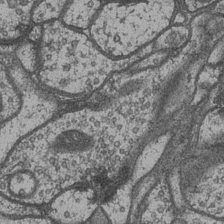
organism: Drosophila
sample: Optic medulla